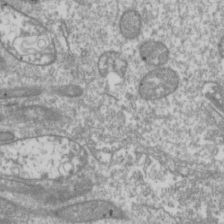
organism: Drosophila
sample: Cell division; meiosis; drosophila spermatocytes